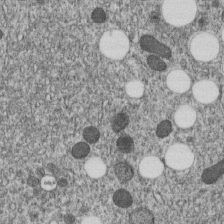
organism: C. elegans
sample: C. elegans embryo early stage